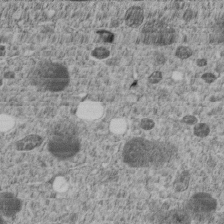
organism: C. elegans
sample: C. elegans embryo early stage